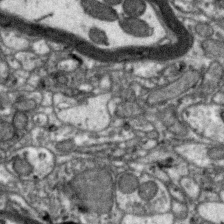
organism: Zebra finch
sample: Brain